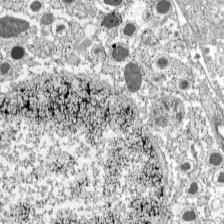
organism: C57BL Mouse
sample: Pancreatic islet